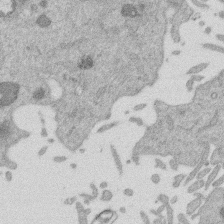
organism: Mouse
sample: Dividing mouse embryo 1 cell stage